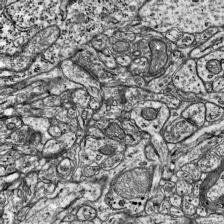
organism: Mouse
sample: Visual Cortex